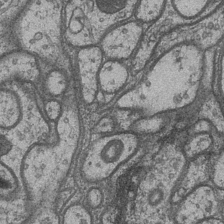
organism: Drosophila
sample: Optic medulla